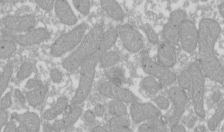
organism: Xenopus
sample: Cilia; centrioles in frog embryo cells